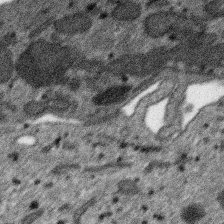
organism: Human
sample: Lung epithelial cells infected with SARS-CoV-2